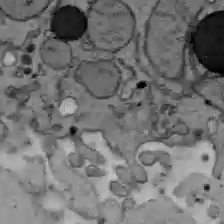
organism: C57BL Mouse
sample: Liver